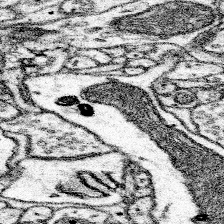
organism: Mouse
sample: Somatosensory cortex neuropil